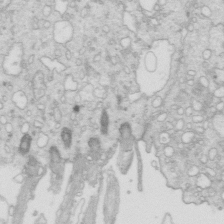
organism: Mouse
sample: Multiciliated cells